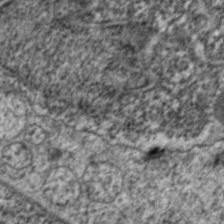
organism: C. elegans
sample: Pharynx